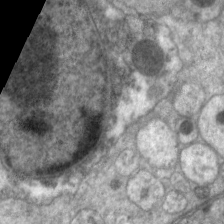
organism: C. elegans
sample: Pharynx